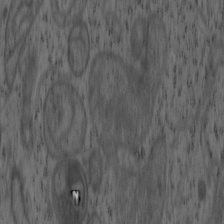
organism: Human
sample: HeLa cells